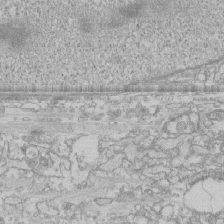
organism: Human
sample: CRL-1474